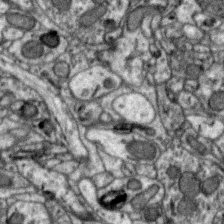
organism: Zebra finch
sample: Brain